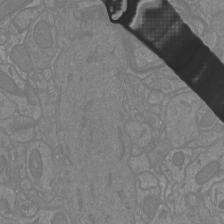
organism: Mouse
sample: Cortical neurons